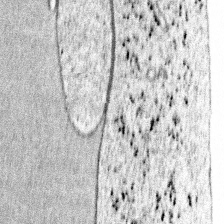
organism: Human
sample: HeLa cells